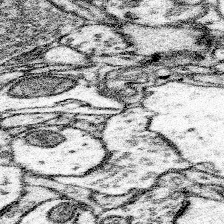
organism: Mouse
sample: Somatosensory cortex neuropil